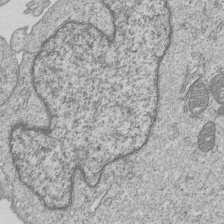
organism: Human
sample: MDA-MB-231 cells